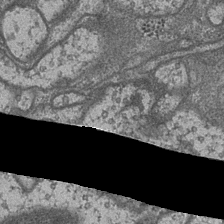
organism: Drosophila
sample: Optic medulla